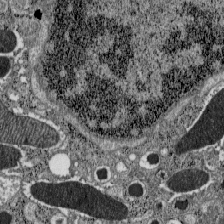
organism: C57BL Mouse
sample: Pancreatic islet